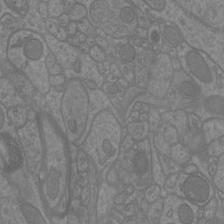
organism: Mouse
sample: Cortical neurons